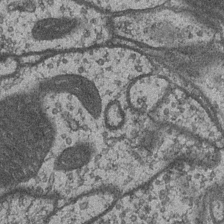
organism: Drosophila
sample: Optic medulla